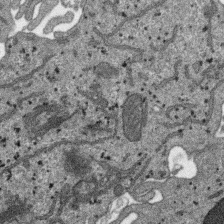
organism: Human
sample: Lung epithelial cells infected with SARS-CoV-2